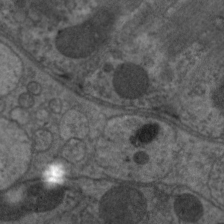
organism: C. elegans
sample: Pharynx